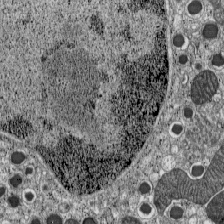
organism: C57BL Mouse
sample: Pancreatic islet